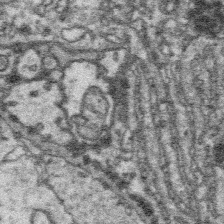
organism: Platynereis dumerilii